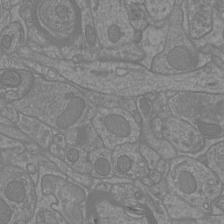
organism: Mouse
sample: Cortical neurons